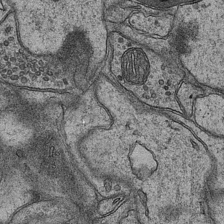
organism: Mouse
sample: CA1 Hippocampus